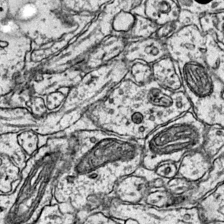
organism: Mouse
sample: Primary visual cortex